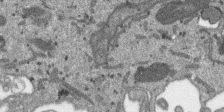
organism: Human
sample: Lung epithelial cells infected with SARS-CoV-2